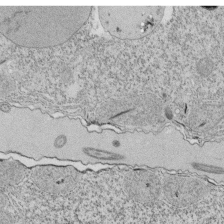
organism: Tetrahymena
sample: Cilia in tetrahymena